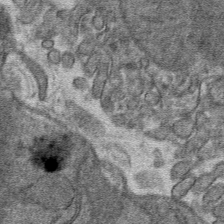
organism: Mouse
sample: Mouse hepatocytes